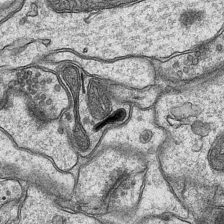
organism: Mouse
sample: CA1 Hippocampus